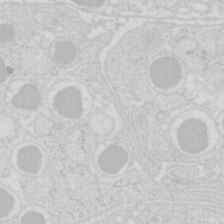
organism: Mouse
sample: Pancreas